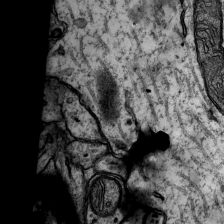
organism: Rat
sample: Hippocampus